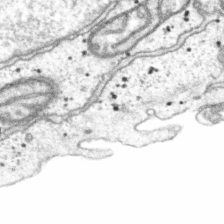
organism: Human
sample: HeLa cells